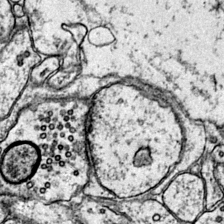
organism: Mouse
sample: Primary visual cortex